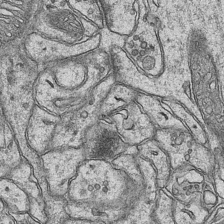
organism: Mouse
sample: CA1 Hippocampus